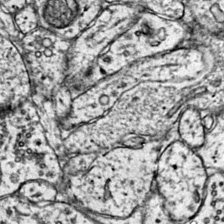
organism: Mouse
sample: Primary visual cortex